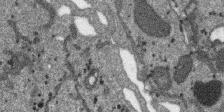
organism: Human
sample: Lung epithelial cells infected with SARS-CoV-2